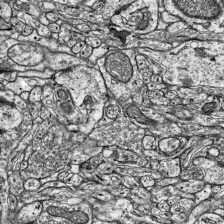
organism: Mouse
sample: Visual Cortex